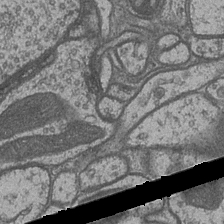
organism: Drosophila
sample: Optic medulla